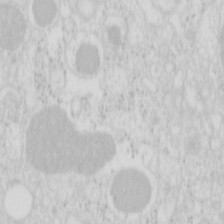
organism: Mouse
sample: Pancreas